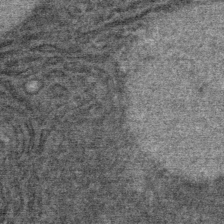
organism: Mouse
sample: Mouse Salivary gland